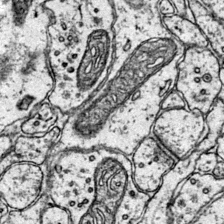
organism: Mouse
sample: Primary visual cortex